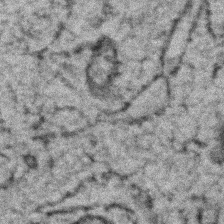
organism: Zebrafish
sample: Zebrafish embryo